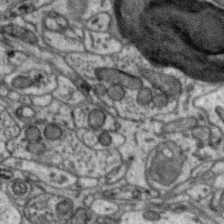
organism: Zebra finch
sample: Brain